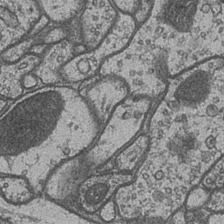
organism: Drosophila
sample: Optic medulla